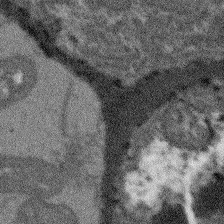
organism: Arabidopsis thaliana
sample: Root tip